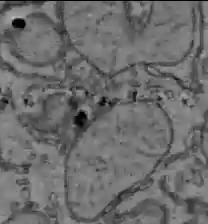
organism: C57BL Mouse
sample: Liver